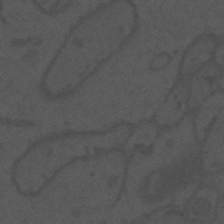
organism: Mouse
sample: Suprachiasmatic nucleus